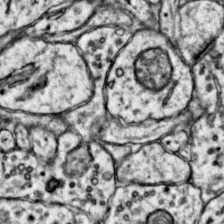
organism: Mouse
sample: Primary visual cortex